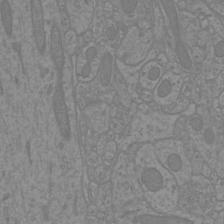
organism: Mouse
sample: Cortical neurons